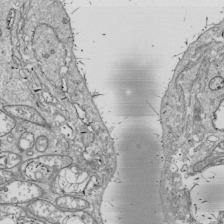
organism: Drosophila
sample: Cell division; meiosis; drosophila spermatocytes